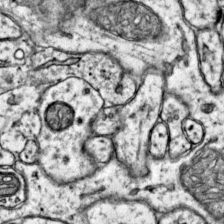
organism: Mouse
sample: Primary visual cortex